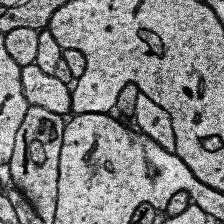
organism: Human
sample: Temporal Lobe